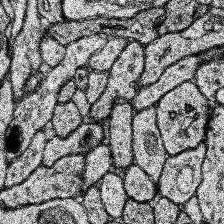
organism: Human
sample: Temporal Lobe